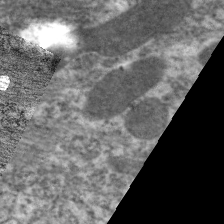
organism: C. elegans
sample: Pharynx